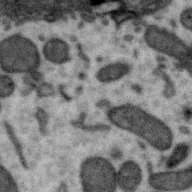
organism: Zebra finch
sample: Brain